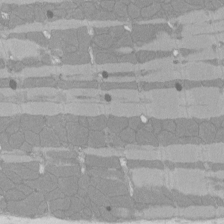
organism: Rat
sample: Left ventricle